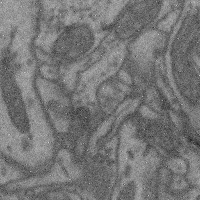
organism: Mouse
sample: Cerebral cortex